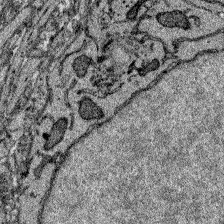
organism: Zebrafish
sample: Larval olfactory bulb